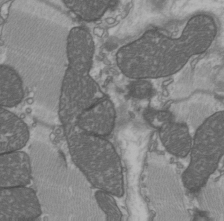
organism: C57BL Mouse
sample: Heart